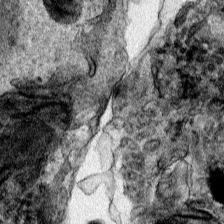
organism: Human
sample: Mitochondria in HCT116 cells